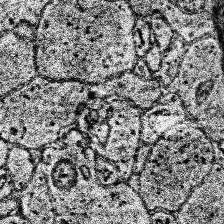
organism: Human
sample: Temporal Lobe